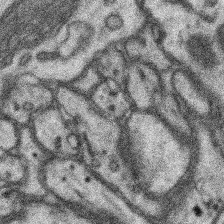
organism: Mouse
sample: Somatosensory cortex neuropil